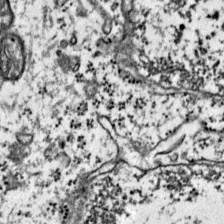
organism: Mouse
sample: Primary visual cortex